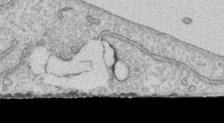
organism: Human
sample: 1205lu cells